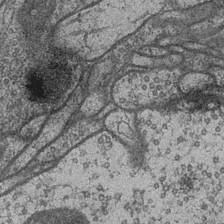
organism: Drosophila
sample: Optic medulla